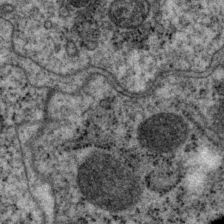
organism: P. pacificus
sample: Pharynx